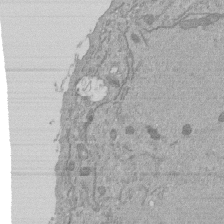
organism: Mouse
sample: ED-1 cell nuclei; centrioles